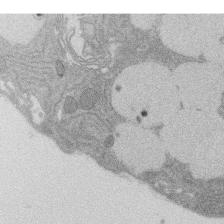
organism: Rat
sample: Salivary granule